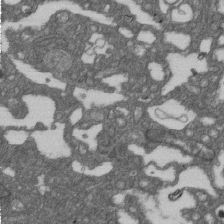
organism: Drosophila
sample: Nephrocyte